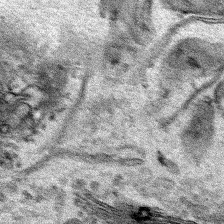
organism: Human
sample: Mitochondria in HCT116 cells